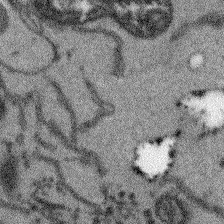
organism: Arabidopsis thaliana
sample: Root tip